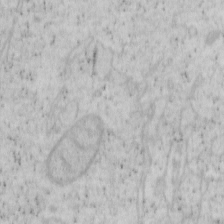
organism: Human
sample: HeLa cells